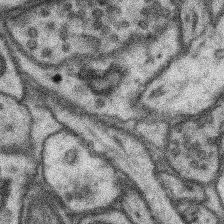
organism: Mouse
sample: Somatosensory cortex neuropil